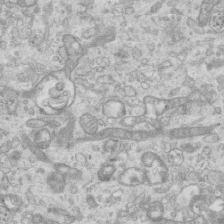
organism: Mouse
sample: Centriole in ependymal cells